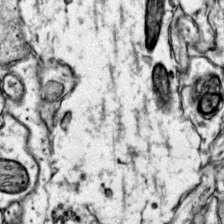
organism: Mouse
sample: Primary visual cortex